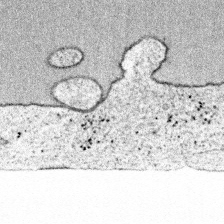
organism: Human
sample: HeLa cells